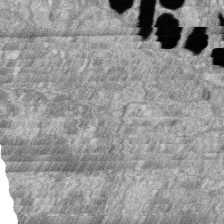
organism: Zebrafish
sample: Cilia; retinal pigment epithelium